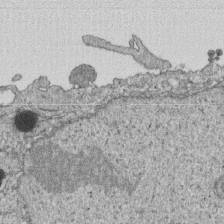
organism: Human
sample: HeLa cell HIV synapse